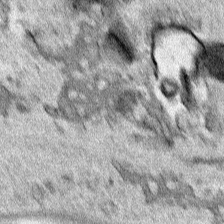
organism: Human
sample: Mitochondria in HCT116 cells